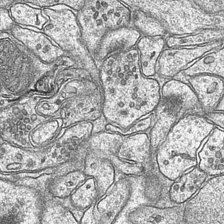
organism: Mouse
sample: CA1 Hippocampus